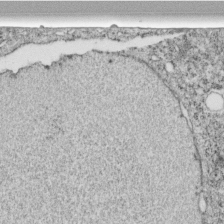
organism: C. elegans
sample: C. elegans embryo early stage